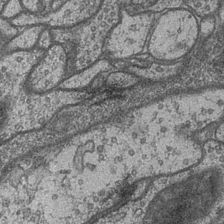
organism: Drosophila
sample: Optic medulla